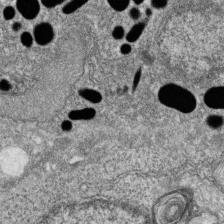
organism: Zebrafish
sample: Cilia; retinal pigment epithelium